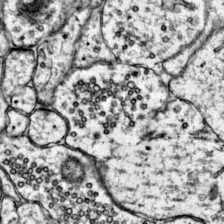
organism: Mouse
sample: Primary visual cortex